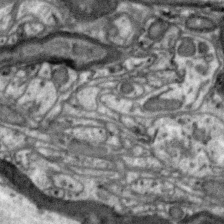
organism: Zebra finch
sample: Brain